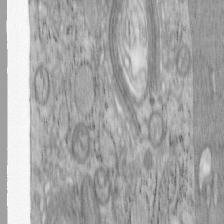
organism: Human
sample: HeLa cells